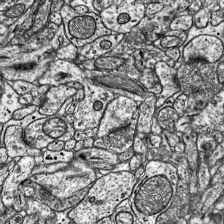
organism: Mouse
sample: Visual Cortex